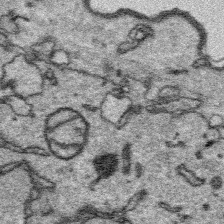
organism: Platynereis dumerilii